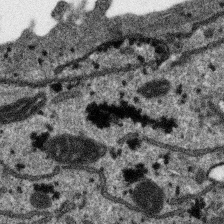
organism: Human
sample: Lung epithelial cells infected with SARS-CoV-2